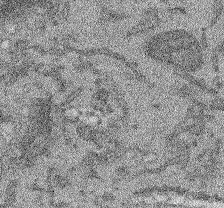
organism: Human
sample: HeLa cells